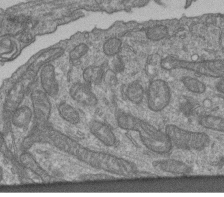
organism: Human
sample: Retinal organoid Rod and Cone cells